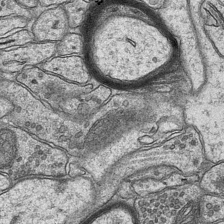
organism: Mouse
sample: CA1 Hippocampus